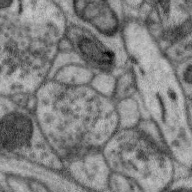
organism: Zebra finch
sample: Brain